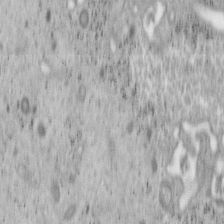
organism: Human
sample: HeLa cells